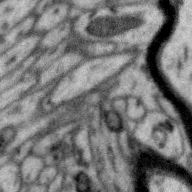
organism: Zebra finch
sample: Brain